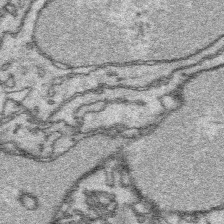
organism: Platynereis dumerilii